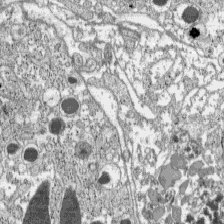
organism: C57BL Mouse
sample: Pancreatic islet